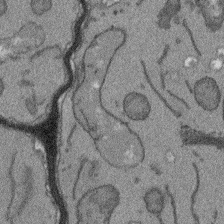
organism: Arabidopsis thaliana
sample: Root tip